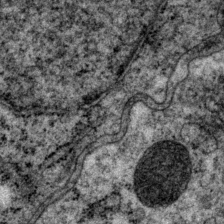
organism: P. pacificus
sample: Pharynx